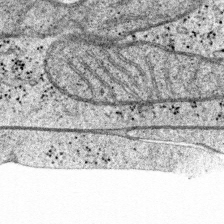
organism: Human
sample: HeLa cells